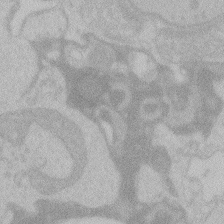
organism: Zebrafish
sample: Macrophage infected with Toxoplasma gondii